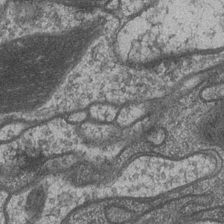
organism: Drosophila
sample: Optic medulla